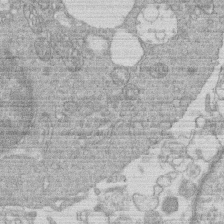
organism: Human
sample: Macrophage cells